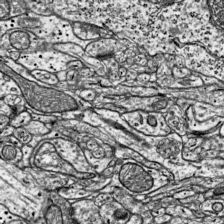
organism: Mouse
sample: Visual Cortex